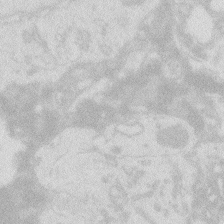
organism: Zebrafish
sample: Macrophage